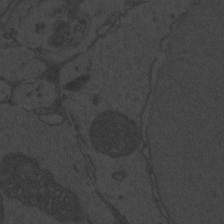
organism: Zebrafish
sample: Macrophage infected with Toxoplasma gondii